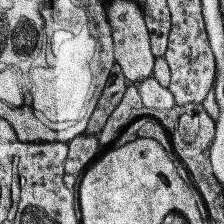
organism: Human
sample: Temporal Lobe